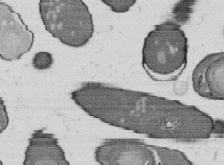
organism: B. subtilis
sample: Bacterial spore